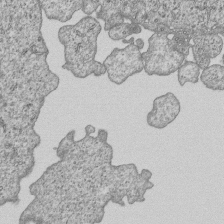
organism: Human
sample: MDA-MB-231 cells